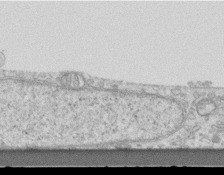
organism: Mouse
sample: Centriole in ependymal cells